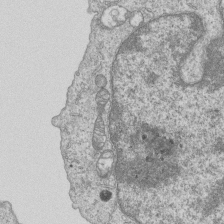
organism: Human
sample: MDA-MB-231 cells